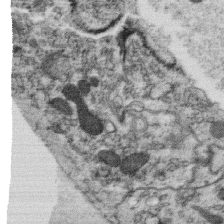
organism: C. elegans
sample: C. elegans oocyte; sperm cells